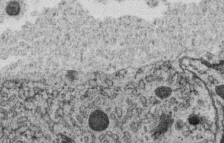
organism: C. elegans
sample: C. elegans oocyte; sperm cells